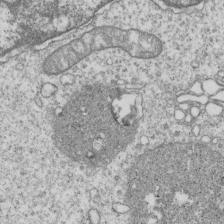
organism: Human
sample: MDA-MB-231 cells